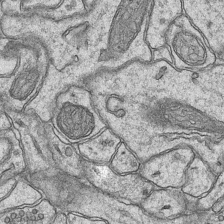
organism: Mouse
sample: CA1 Hippocampus